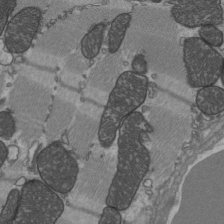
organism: C57BL Mouse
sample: Heart